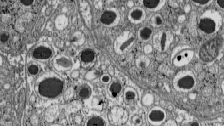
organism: C57BL Mouse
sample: Pancreatic islet